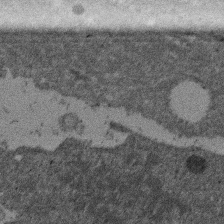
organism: Mouse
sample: Dividing mouse embryo 1 cell stage